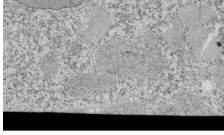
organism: Tetrahymena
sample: Cilia in tetrahymena